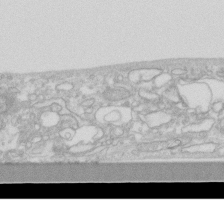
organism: Human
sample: Fibroblast cells